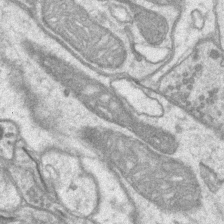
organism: Mouse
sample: CA1 Hippocampus